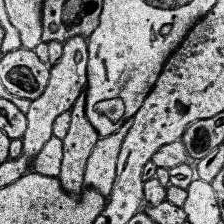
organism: Human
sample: Temporal Lobe